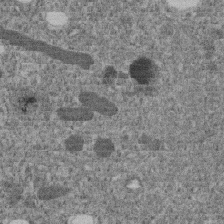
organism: C. elegans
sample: C. elegans embryo early stage